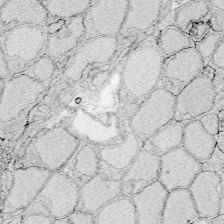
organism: Zebrafish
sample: Whole-Brain